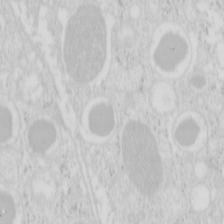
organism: Mouse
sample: Pancreas